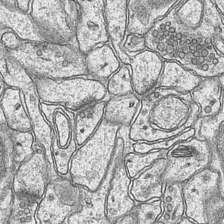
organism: Mouse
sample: CA1 Hippocampus